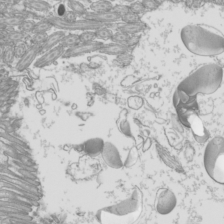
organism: Mouse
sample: Cilia; mouse epididymis